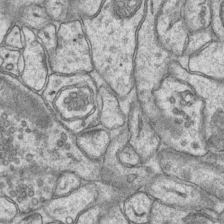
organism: Mouse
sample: CA1 Hippocampus